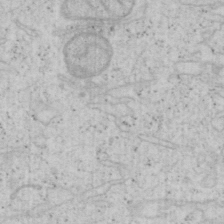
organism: Human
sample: HeLa cells